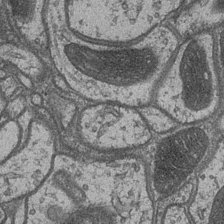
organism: Drosophila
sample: Optic medulla